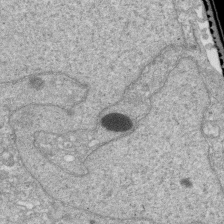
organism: Human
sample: HeLa cell HIV synapse